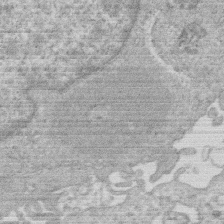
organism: Human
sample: Macrophage cells